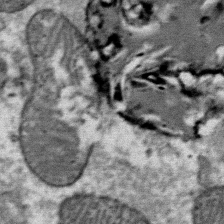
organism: Mouse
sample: Mouse Salivary gland